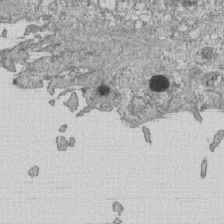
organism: Human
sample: HeLa cell HIV synapse